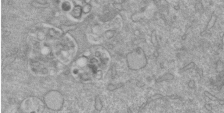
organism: Mouse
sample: ED-1 cell nuclei; centrioles